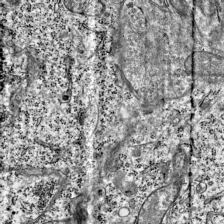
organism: Mouse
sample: Visual Cortex